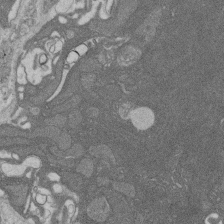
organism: Rat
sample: Salivary granule